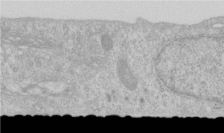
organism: Human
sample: Centriole in RPE cells